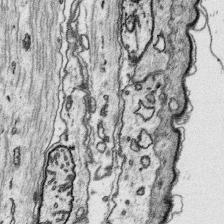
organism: Platynereis dumerilii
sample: Parapodia